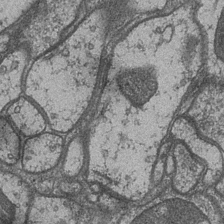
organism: Drosophila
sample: Optic medulla